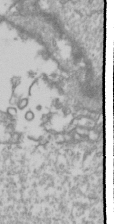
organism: Drosophila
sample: Cell division; meiosis; drosophila spermatocytes